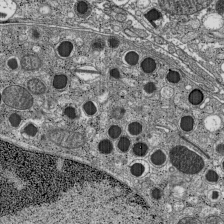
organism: C57BL Mouse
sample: Pancreatic islet